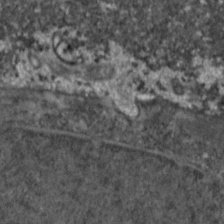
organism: Zebrafish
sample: Zebrafish embryo